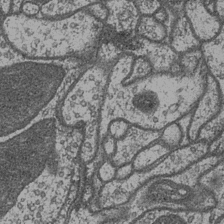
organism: Drosophila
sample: Optic medulla